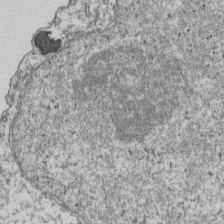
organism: Human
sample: Activated Jurkat CD4+ T cells